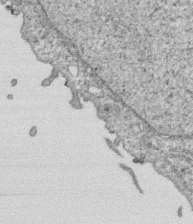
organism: Human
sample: HeLa cell HIV synapse